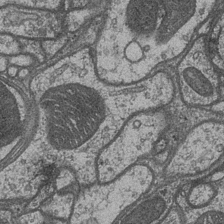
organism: Drosophila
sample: Optic medulla